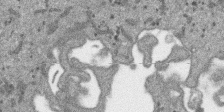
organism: Human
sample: Lung epithelial cells infected with SARS-CoV-2